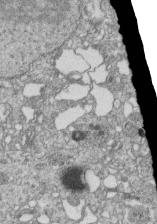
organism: Human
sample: HeLa cell HIV synapse